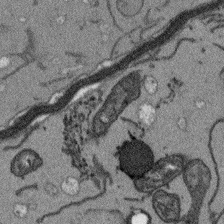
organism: Arabidopsis thaliana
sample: Root tip